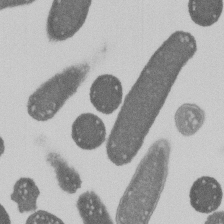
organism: E. coli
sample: Bacterial nucleoid